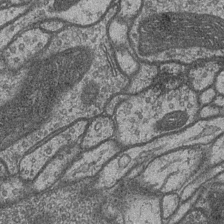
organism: Drosophila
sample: Optic medulla